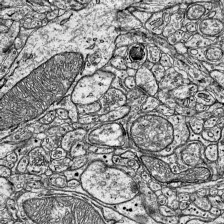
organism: Mouse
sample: Visual Cortex